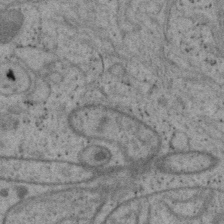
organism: Human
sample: HeLa cells